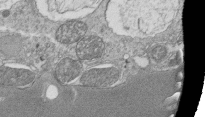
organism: Tetrahymena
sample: Cilia in tetrahymena